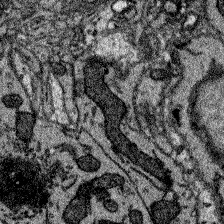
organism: Zebrafish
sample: Larval olfactory bulb